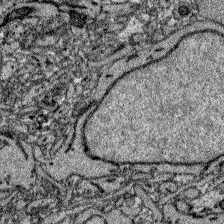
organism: Zebrafish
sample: Larval olfactory bulb